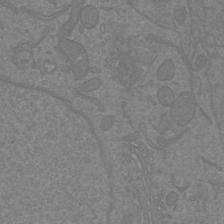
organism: Mouse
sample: Cortical neurons